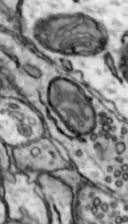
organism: Mouse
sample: Nucleus accumbens